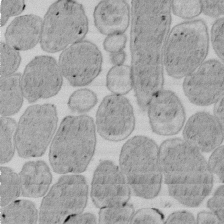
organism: E. coli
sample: Bacterial nucleoid